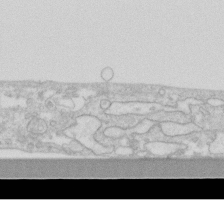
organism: Human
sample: Fibroblast cells